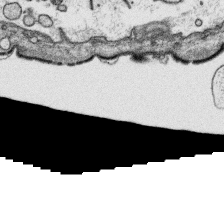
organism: Platynereis dumerilii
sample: Parapodia